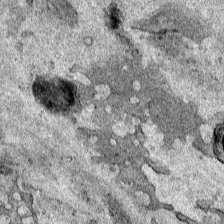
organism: Human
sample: Mitochondria in HCT116 cells